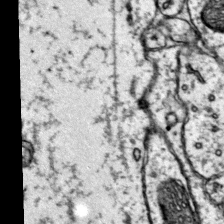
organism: Mouse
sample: Primary visual cortex